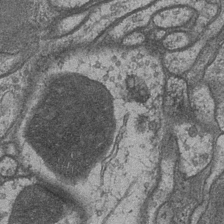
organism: Drosophila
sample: Optic medulla